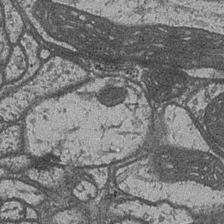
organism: Drosophila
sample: Optic medulla